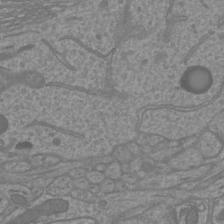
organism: Mouse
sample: Cortical neurons